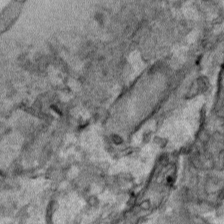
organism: Human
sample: Mitochondria in HCT116 cells